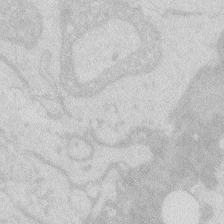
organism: Zebrafish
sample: Macrophage